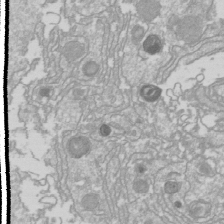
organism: Drosophila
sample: Cell division; meiosis; drosophila spermatocytes